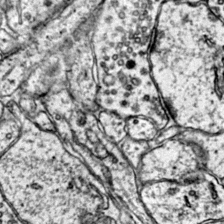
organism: Mouse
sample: Primary visual cortex